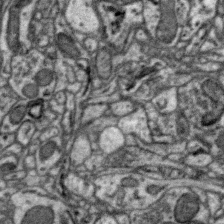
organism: Zebra finch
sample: Brain